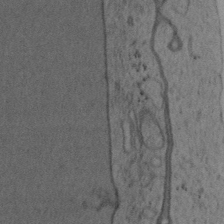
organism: Human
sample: HeLa cells